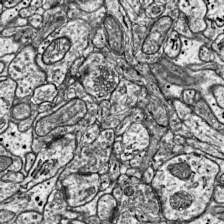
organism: Mouse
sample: Visual Cortex